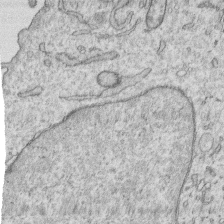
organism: Human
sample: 1205lu cells